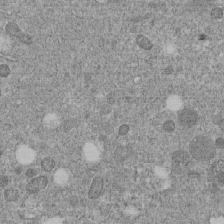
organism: C. elegans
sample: C. elegans embryo early stage